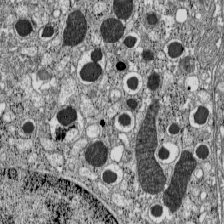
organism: C57BL Mouse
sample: Pancreatic islet